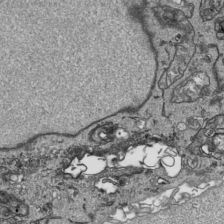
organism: Human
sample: Mitochondria in HCT116 cells